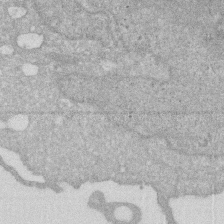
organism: Human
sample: HIV infected U937 cells